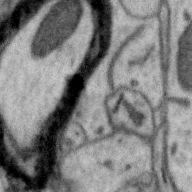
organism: Zebra finch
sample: Brain